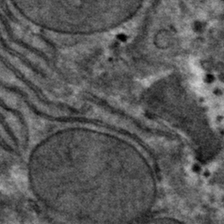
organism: Mouse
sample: Mouse hepatocytes